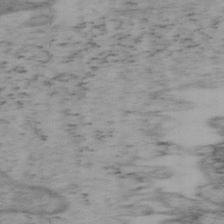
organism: Mouse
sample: OT-I killer T cells with ID8 ovarian cancer cells